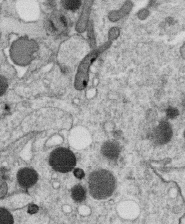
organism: C. elegans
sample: C. elegans oocyte; sperm cells